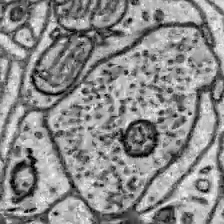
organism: Zebrafish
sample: Brain